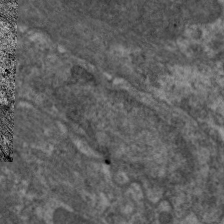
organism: C. elegans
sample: Pharynx